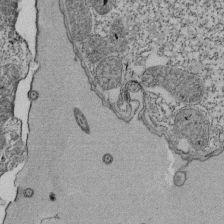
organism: Tetrahymena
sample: Cilia in tetrahymena